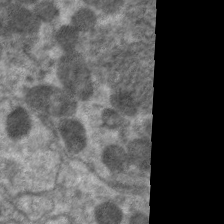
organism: C. elegans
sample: Pharynx